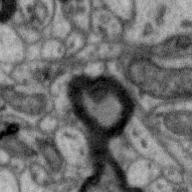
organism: Zebra finch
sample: Brain